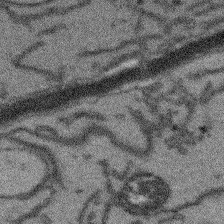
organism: Arabidopsis thaliana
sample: Root tip